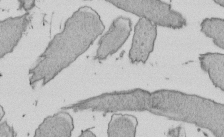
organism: E. coli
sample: Bacterial nucleoid